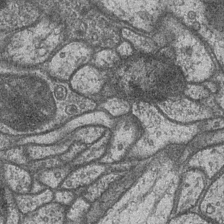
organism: Drosophila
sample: Optic medulla